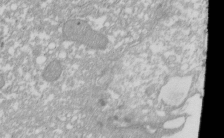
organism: Xenopus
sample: Cilia; centrioles in frog embryo cells